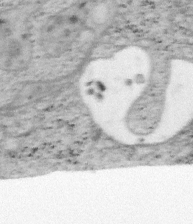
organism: Mouse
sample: OT-I killer T cells with ID8 ovarian cancer cells